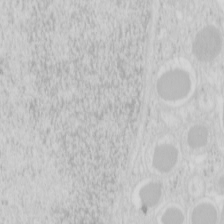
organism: Mouse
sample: Pancreas